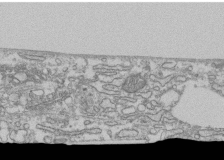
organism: Human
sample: Fibroblast cells